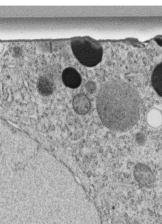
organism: C. elegans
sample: C. elegans embryo early stage